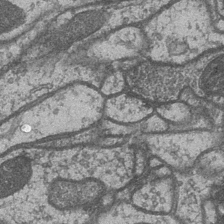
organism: Drosophila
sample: Optic medulla